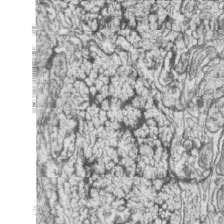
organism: Zebrafish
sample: synaptic ribbons in rod cells and cone cells